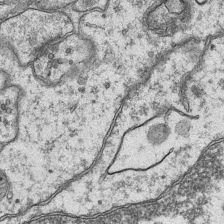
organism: Mouse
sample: CA1 Hippocampus